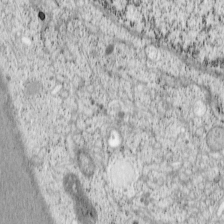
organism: African green monkey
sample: COS-7 cells